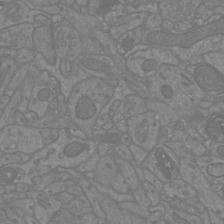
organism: Mouse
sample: Cortical neurons